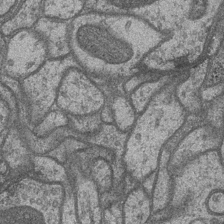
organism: Drosophila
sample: Optic medulla